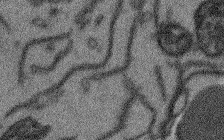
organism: Arabidopsis thaliana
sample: Root tip